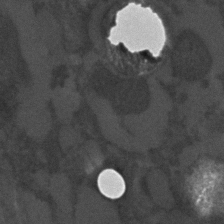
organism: C. elegans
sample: C. elegans embryo